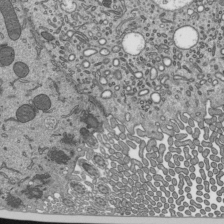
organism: Mouse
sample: Mouse epididymis efferent ductule cilia